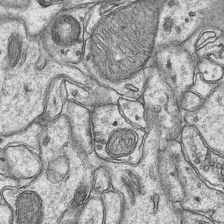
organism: Mouse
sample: CA1 Hippocampus